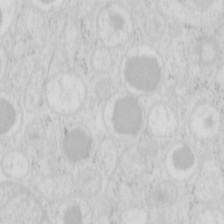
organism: Mouse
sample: Pancreas